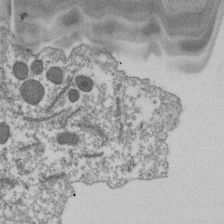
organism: Dictyostelium discoideum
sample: Dictyostelium multivesicular bodies